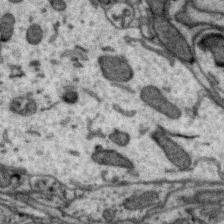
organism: Zebra finch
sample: Brain